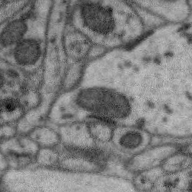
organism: Zebra finch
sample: Brain